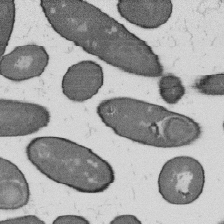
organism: B. subtilis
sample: Bacterial spore